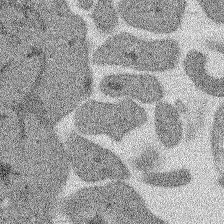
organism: Human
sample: HeLa cells